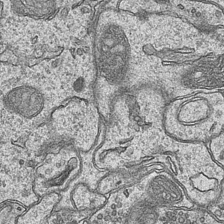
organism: Mouse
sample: CA1 Hippocampus